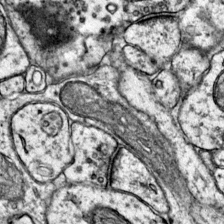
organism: Mouse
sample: Primary visual cortex